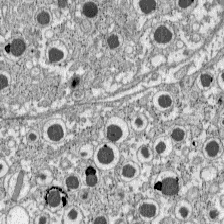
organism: C57BL Mouse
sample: Pancreatic islet